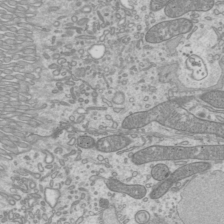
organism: Mouse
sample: Cilia; mouse epididymis